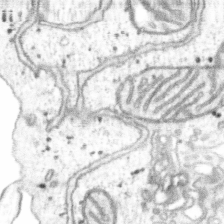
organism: Human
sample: HeLa cells